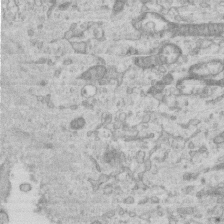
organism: Mouse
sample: Centriole in ependymal cells